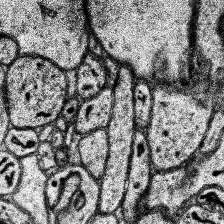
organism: Human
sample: Temporal Lobe